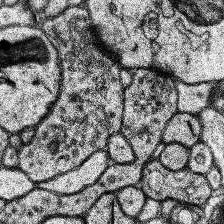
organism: Human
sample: Temporal Lobe